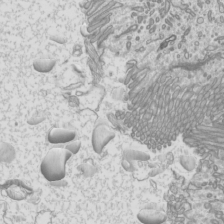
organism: Mouse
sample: Cilia; mouse epididymis